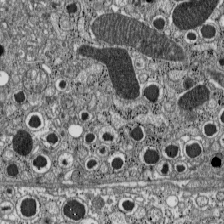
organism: C57BL Mouse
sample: Pancreatic islet